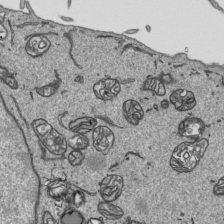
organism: Human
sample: Mitochondria in HCT116 cells